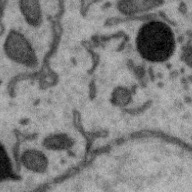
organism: Zebra finch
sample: Brain